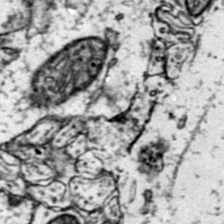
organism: Mouse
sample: Primary visual cortex